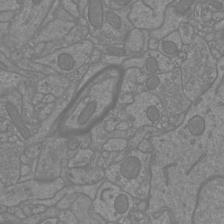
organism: Mouse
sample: Cortical neurons